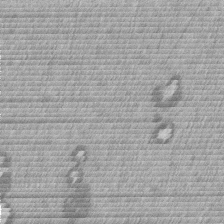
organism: Mouse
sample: Dividing mouse embryo 1 cell stage